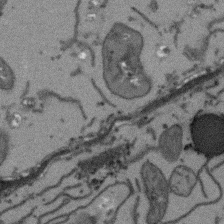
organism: Arabidopsis thaliana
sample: Root tip